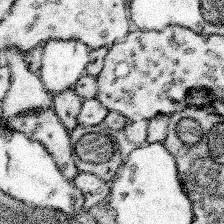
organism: Mouse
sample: Somatosensory cortex neuropil